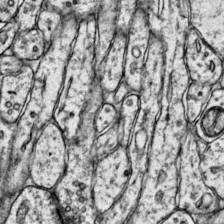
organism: Mouse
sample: Primary visual cortex